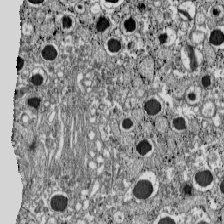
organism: C57BL Mouse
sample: Pancreatic islet